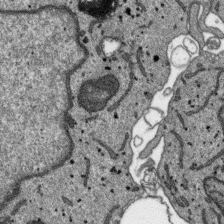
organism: Human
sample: Lung epithelial cells, uninfected (mock) control